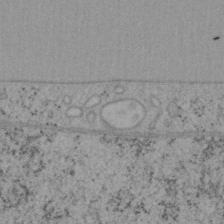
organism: Human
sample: HeLa cells